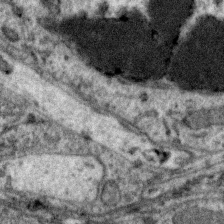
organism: Zebra finch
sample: Brain